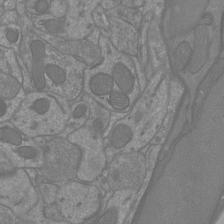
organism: Mouse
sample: Cortical neurons